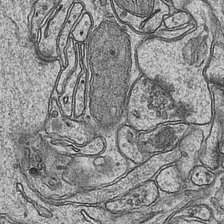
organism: Mouse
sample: CA1 Hippocampus